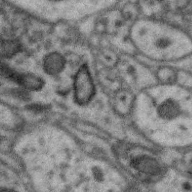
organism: Zebra finch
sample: Brain